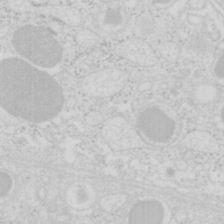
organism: Mouse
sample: Pancreas